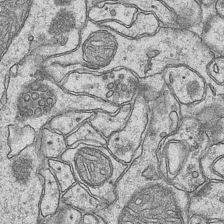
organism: Mouse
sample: CA1 Hippocampus